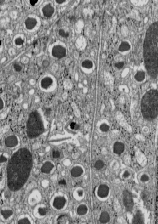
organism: C57BL Mouse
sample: Pancreatic islet